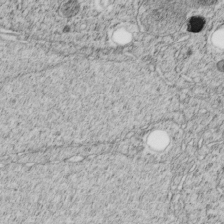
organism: C. elegans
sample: C. elegans embryo early stage